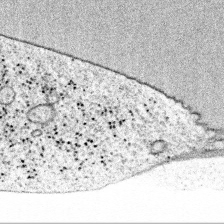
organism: Human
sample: HeLa cells